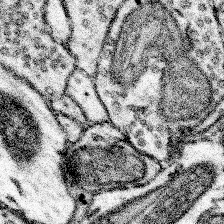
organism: Mouse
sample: Somatosensory cortex neuropil